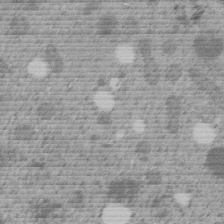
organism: C. elegans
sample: C. elegans embryo early stage